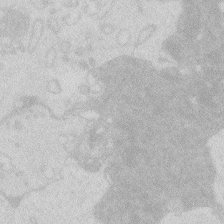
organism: Zebrafish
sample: Macrophage